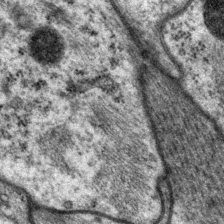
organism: P. pacificus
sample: Pharynx